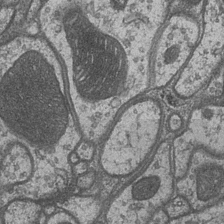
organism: Drosophila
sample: Optic medulla